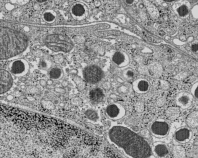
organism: C57BL Mouse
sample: Pancreatic islet